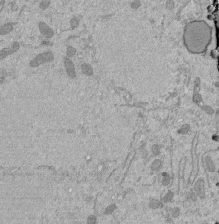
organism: Mouse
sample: ED-1 cell nuclei; centrioles